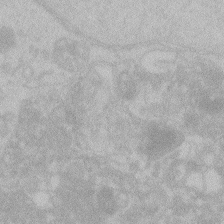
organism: Zebrafish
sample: Macrophage infected with Toxoplasma gondii